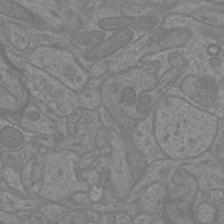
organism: Mouse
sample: Cortical neurons